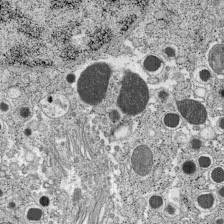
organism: C57BL Mouse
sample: Pancreatic islet